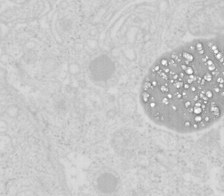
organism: Mouse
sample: Pancreas